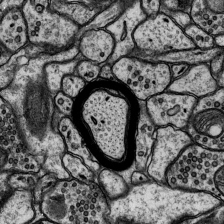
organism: Rat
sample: Hippocampus